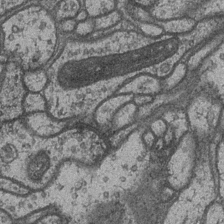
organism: Drosophila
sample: Optic medulla